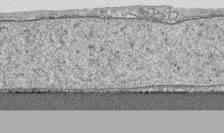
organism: Human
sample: CRL-1474